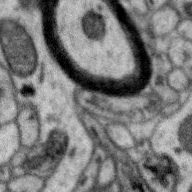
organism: Zebra finch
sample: Brain